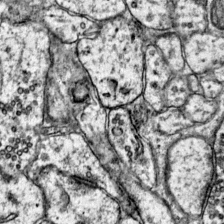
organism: Mouse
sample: Primary visual cortex